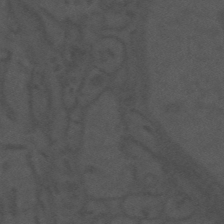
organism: Mouse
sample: Suprachiasmatic nucleus